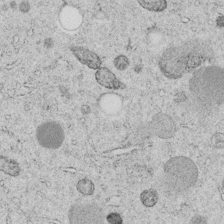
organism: C. elegans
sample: C. elegans embryo early stage